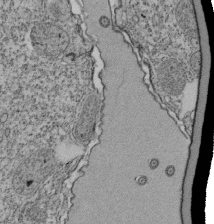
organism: Tetrahymena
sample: Cilia in tetrahymena